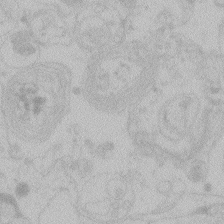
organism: Zebrafish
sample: Macrophage infected with Toxoplasma gondii